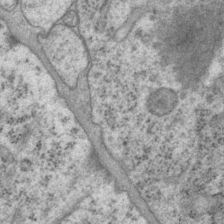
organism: P. pacificus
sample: Pharynx